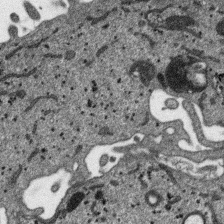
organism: Human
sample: Lung epithelial cells infected with SARS-CoV-2